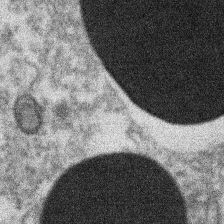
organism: Xenopus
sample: Cilia; centrioles in frog embryo cells